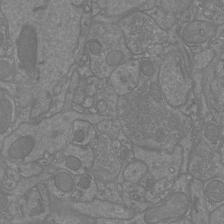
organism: Mouse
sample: Cortical neurons